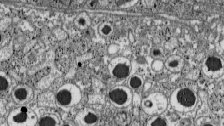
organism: C57BL Mouse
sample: Pancreatic islet